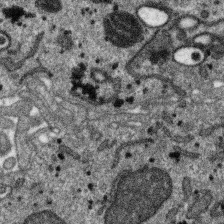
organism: Human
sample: Lung epithelial cells infected with SARS-CoV-2